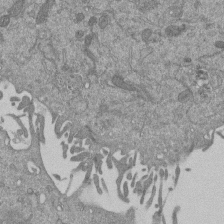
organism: Mouse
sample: ED-1 cell nuclei; centrioles